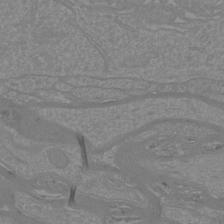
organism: Mouse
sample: Cortical neurons